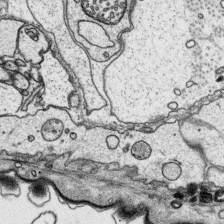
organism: Platynereis dumerilii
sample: Parapodia